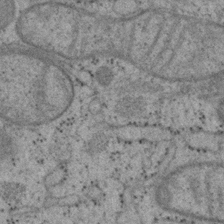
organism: Human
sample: HeLa cells